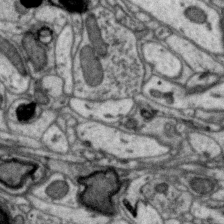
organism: Zebra finch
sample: Brain